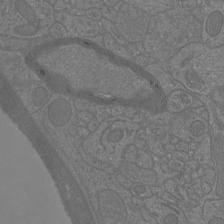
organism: Mouse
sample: Cortical neurons